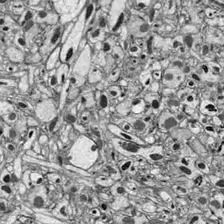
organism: Drosophila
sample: Optic lobe